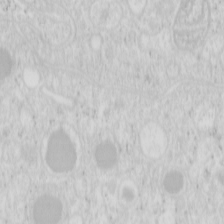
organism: Mouse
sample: Pancreas